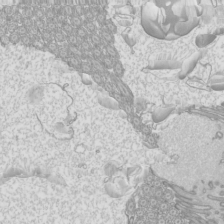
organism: Mouse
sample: Cilia; mouse epididymis